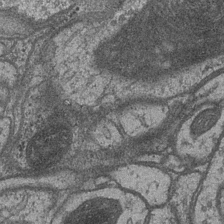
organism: Drosophila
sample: Optic medulla